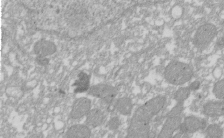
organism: Xenopus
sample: Cilia; centrioles in frog embryo cells